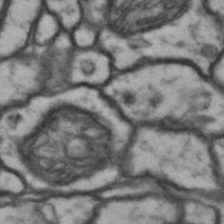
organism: Drosophila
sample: Brain